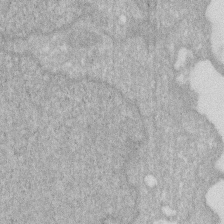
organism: Human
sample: HIV infected U937 cells